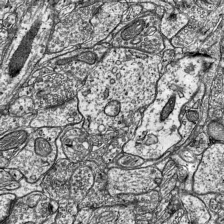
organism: Mouse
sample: Visual Cortex